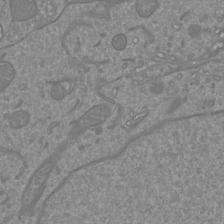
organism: Mouse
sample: Cortical neurons